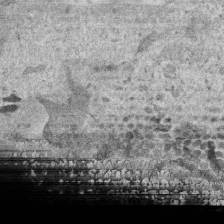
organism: Human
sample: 1205lu cells